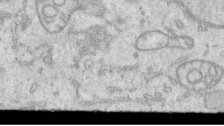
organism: Human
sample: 1205lu cells